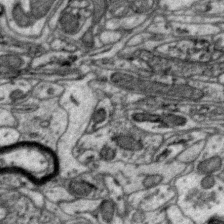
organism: Zebra finch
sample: Brain